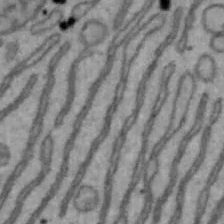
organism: Mouse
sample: Liver